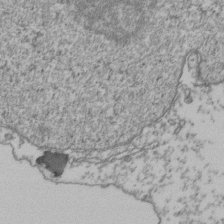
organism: Human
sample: Activated Jurkat CD4+ T cells